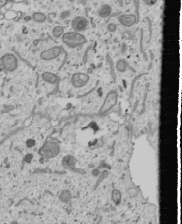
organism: Human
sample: Mitochondria in U2OS cells